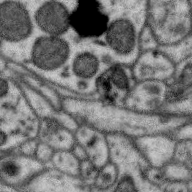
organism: Zebra finch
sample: Brain